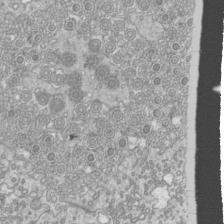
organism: Mouse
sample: Cilia; mouse epididymis